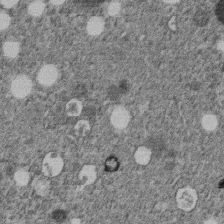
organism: C. elegans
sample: C. elegans embryo early stage